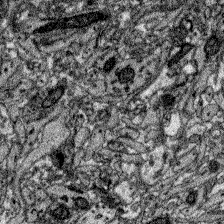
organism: Zebrafish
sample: Larval olfactory bulb